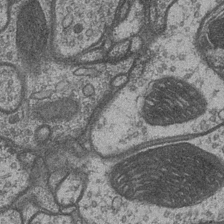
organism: Drosophila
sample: Optic medulla